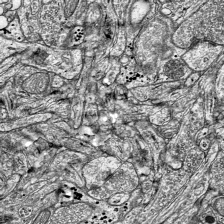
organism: Mouse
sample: Visual Cortex